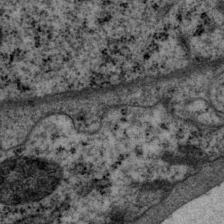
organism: P. pacificus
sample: Pharynx